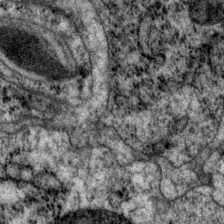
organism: P. pacificus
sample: Pharynx